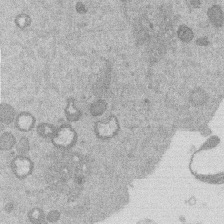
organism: Mouse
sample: Dividing mouse embryo 1 cell stage